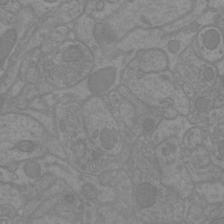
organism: Mouse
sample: Cortical neurons